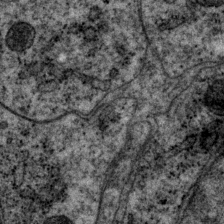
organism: P. pacificus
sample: Pharynx